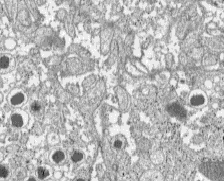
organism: C57BL Mouse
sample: Pancreatic islet